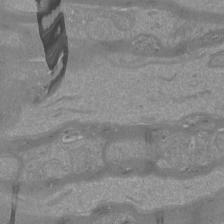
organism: Mouse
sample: Cortical neurons